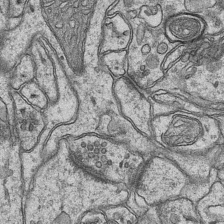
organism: Mouse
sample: CA1 Hippocampus